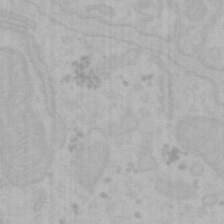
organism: Mouse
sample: Choroid plexus